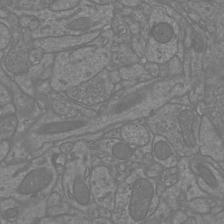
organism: Mouse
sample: Cortical neurons